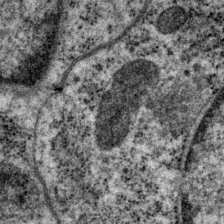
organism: P. pacificus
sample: Pharynx